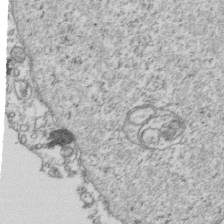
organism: Human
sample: Activated Jurkat CD4+ T cells